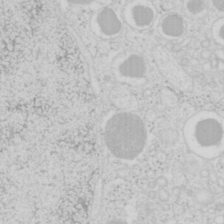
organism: Mouse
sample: Pancreas